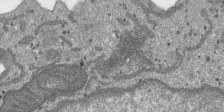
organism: Human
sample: Lung epithelial cells infected with SARS-CoV-2